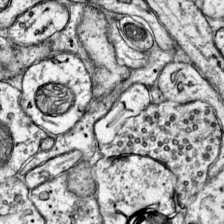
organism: Mouse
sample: Primary visual cortex